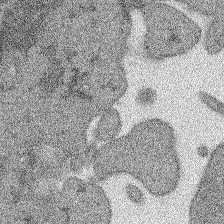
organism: Human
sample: HeLa cells